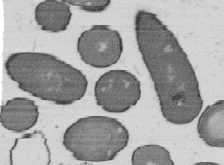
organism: B. subtilis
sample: Bacterial spore